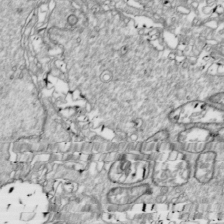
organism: Drosophila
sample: Cell division; meiosis; drosophila spermatocytes